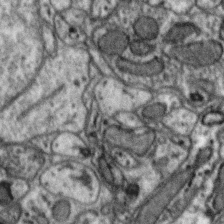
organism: Zebra finch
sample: Brain